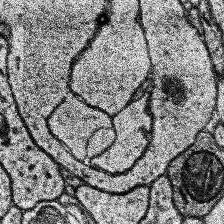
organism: Human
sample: Temporal Lobe